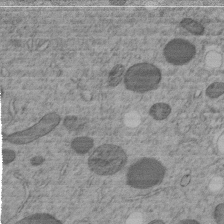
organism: C. elegans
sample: C. elegans embryo early stage